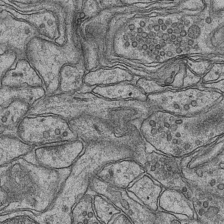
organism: Mouse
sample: CA1 Hippocampus